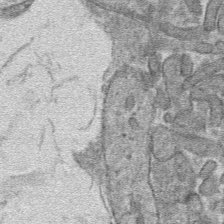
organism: Mouse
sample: Mouse hepatocytes